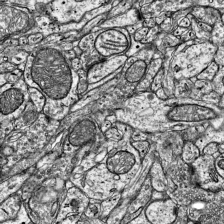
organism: Mouse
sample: Visual Cortex